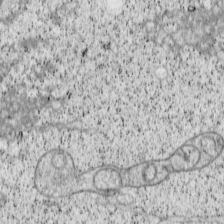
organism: African green monkey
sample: COS-7 cells